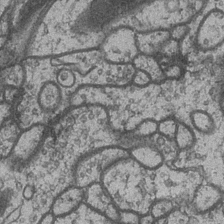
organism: Drosophila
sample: Optic medulla